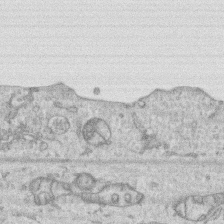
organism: Human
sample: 1205lu cells